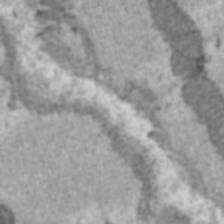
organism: C57BL Mouse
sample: Heart